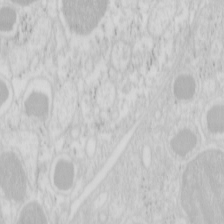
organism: Mouse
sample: Pancreas